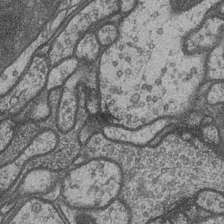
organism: Drosophila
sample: Optic medulla